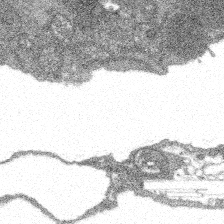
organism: Spongilla lacustris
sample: Multiple